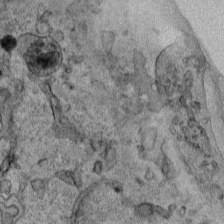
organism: Human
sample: Mitochondria in HCT116 cells